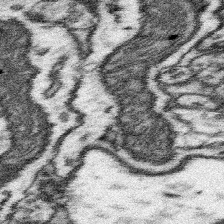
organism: Mouse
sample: Somatosensory cortex neuropil